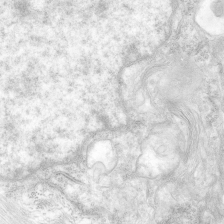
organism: Human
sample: Neocortex